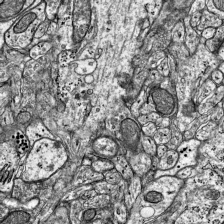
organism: Mouse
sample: Visual Cortex